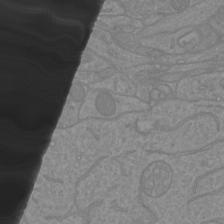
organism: Mouse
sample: Cortical neurons